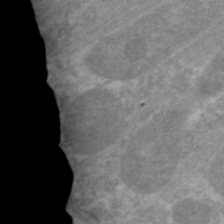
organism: C. elegans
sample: Pharynx